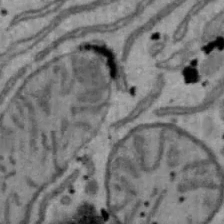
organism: Mouse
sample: Liver